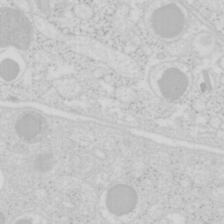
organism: Mouse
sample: Pancreas